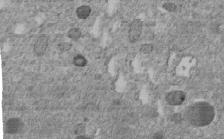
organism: C. elegans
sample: C. elegans embryo early stage